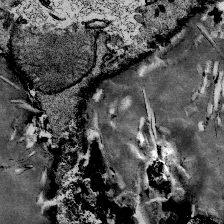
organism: Mouse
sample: Mouse Salivary gland